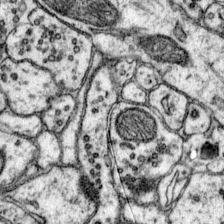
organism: Mouse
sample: Primary visual cortex